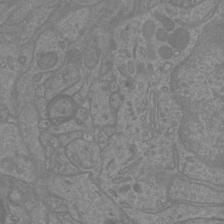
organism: Mouse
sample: Cortical neurons